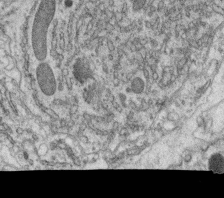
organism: C. elegans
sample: C. elegans oocyte; sperm cells